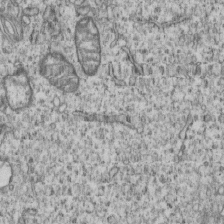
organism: Human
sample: MDA-MB-231 cells